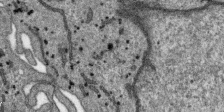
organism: Human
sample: Lung epithelial cells, uninfected (mock) control